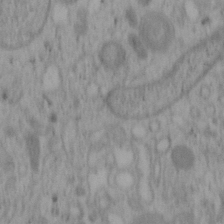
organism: Mouse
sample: OT-I killer T cells with ID8 ovarian cancer cells